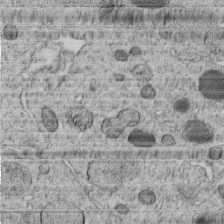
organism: C. elegans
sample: C. elegans embryo early stage